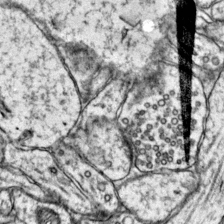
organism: Mouse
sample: Primary visual cortex